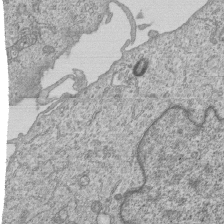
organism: Human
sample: MDA-MB-231 cells